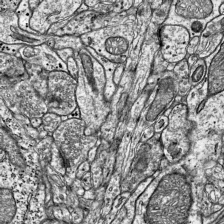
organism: Mouse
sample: Visual Cortex